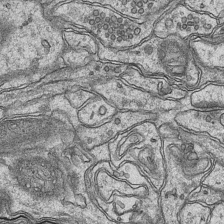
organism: Mouse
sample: CA1 Hippocampus